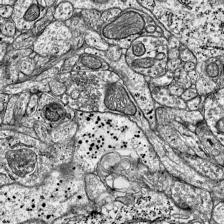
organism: Mouse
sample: Visual Cortex